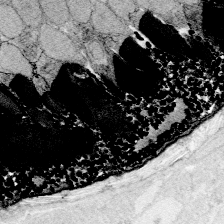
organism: Zebrafish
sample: Whole-Brain